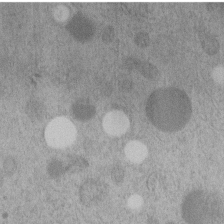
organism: C. elegans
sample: C. elegans embryo early stage